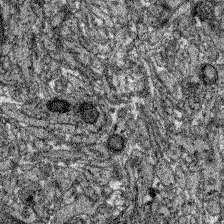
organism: Zebrafish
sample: Larval olfactory bulb